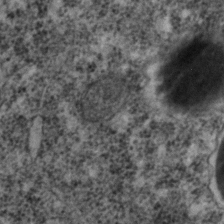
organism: C. elegans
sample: C. elegans embryo